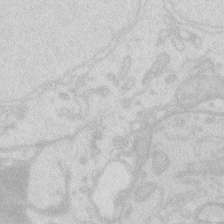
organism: Zebrafish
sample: Macrophage